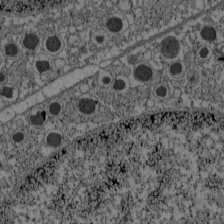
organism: C57BL Mouse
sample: Pancreatic islet